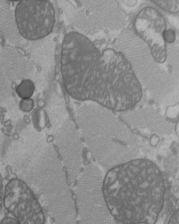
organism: C57BL Mouse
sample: Heart